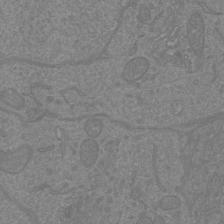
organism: Mouse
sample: Cortical neurons